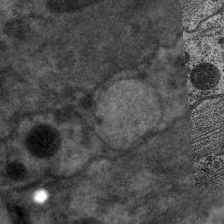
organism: C. elegans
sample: Pharynx